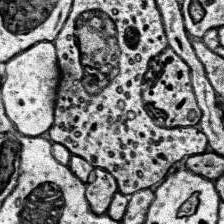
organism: Human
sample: Temporal Lobe